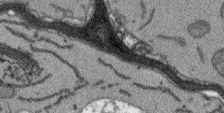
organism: Arabidopsis thaliana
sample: Root tip